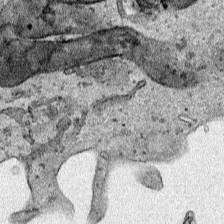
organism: Human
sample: Mitochondria in HCT116 cells